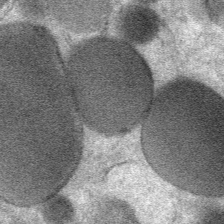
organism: Mouse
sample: Mouse Salivary gland